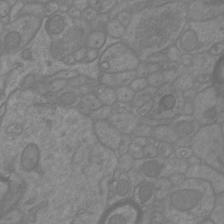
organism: Mouse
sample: Cortical neurons